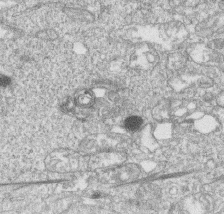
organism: Human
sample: HeLa cell HIV synapse